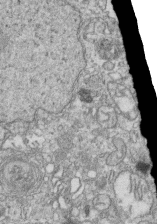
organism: Human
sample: HeLa cell HIV synapse